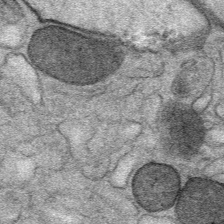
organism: Mouse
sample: Mouse Salivary gland